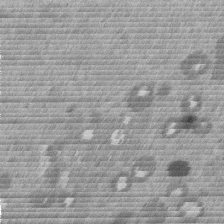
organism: Mouse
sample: Dividing mouse embryo 1 cell stage